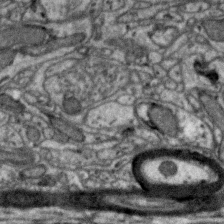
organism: Zebra finch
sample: Brain